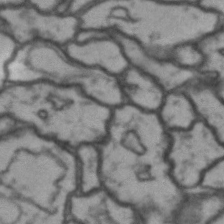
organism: Drosophila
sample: Brain